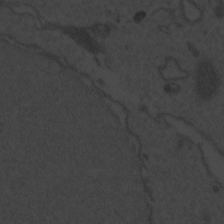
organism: Zebrafish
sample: Macrophage infected with Toxoplasma gondii